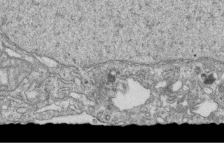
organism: Human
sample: HeLa cell HIV synapse